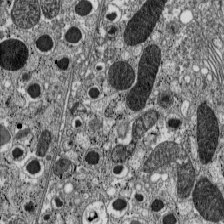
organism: C57BL Mouse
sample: Pancreatic islet